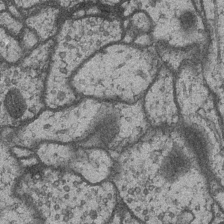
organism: Drosophila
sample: Optic medulla